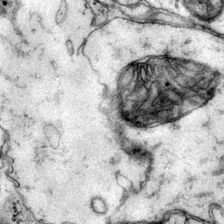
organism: Mouse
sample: Primary visual cortex